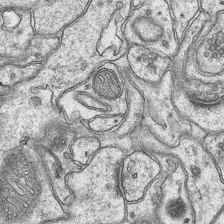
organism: Mouse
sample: CA1 Hippocampus